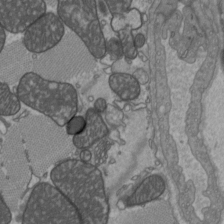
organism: C57BL Mouse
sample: Heart